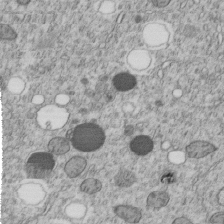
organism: C. elegans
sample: C. elegans embryo early stage